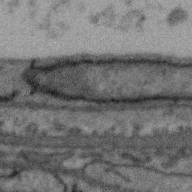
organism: Zebra finch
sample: Brain